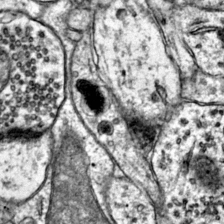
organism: Mouse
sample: Primary visual cortex